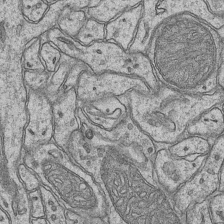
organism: Mouse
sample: CA1 Hippocampus